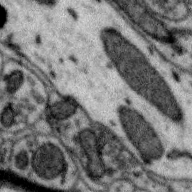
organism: Zebra finch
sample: Brain